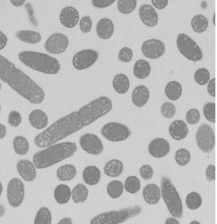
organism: E. coli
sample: Bacterial nucleoid